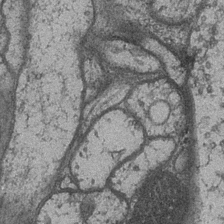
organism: Drosophila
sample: Optic medulla